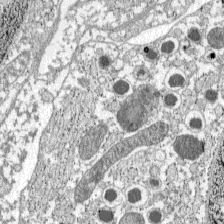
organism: C57BL Mouse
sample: Pancreatic islet